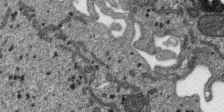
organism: Human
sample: Lung epithelial cells infected with SARS-CoV-2